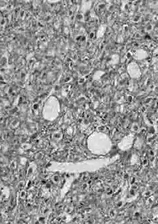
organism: Drosophila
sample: Optic lobe